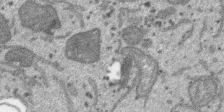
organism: Human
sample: Lung epithelial cells infected with SARS-CoV-2